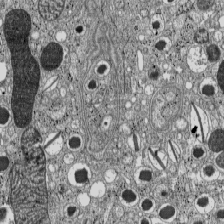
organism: C57BL Mouse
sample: Pancreatic islet